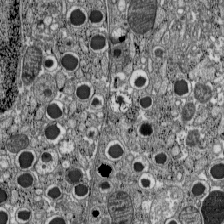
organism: C57BL Mouse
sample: Pancreatic islet